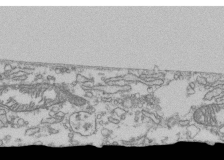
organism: Human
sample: Fibroblast cells